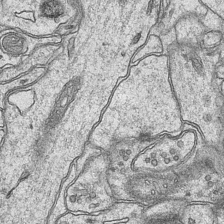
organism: Mouse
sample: CA1 Hippocampus